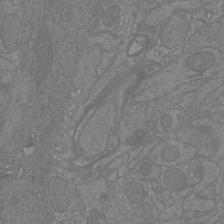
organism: Mouse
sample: Cortical neurons